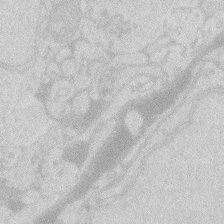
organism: Zebrafish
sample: Macrophage